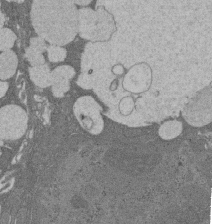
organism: Rat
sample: Salivary granule